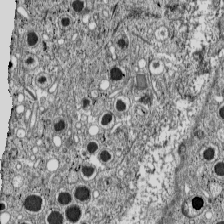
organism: C57BL Mouse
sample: Pancreatic islet